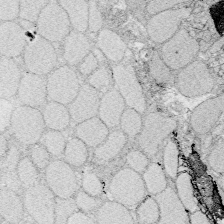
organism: Zebrafish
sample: Whole-Brain